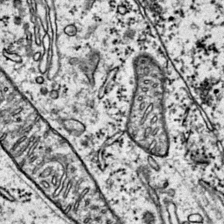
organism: Mouse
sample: Primary visual cortex